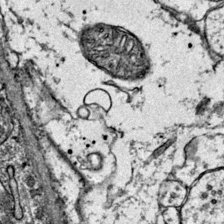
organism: Mouse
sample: Primary visual cortex